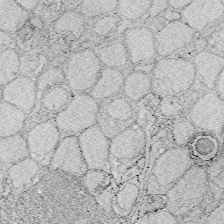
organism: Zebrafish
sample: Whole-Brain